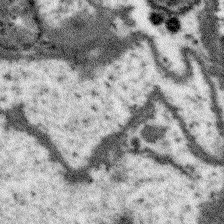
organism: Arabidopsis thaliana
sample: Root tip